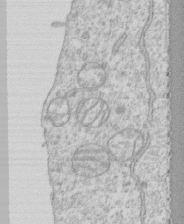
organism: Human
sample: CRL-1474